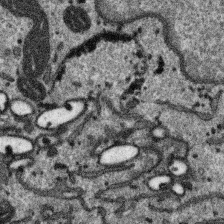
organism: Human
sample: Lung epithelial cells infected with SARS-CoV-2